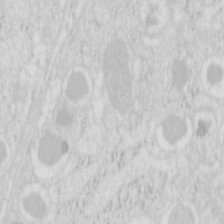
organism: Mouse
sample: Pancreas